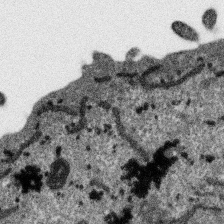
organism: Human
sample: Lung epithelial cells infected with SARS-CoV-2